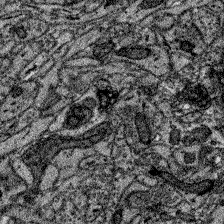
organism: Zebrafish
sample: Larval olfactory bulb